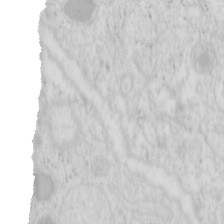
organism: Mouse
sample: Pancreas